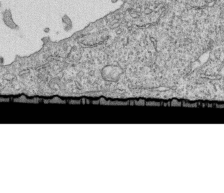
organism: Human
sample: HeLa cell HIV synapse